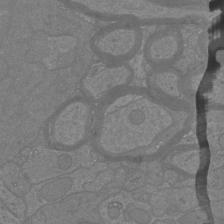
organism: Mouse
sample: Cortical neurons